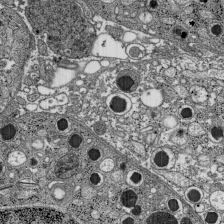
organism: C57BL Mouse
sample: Pancreatic islet